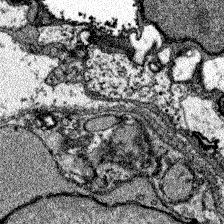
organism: Zebrafish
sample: Larval olfactory bulb